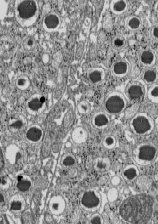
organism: C57BL Mouse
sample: Pancreatic islet